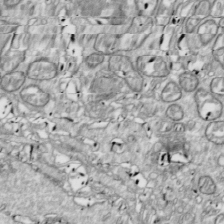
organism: Drosophila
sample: Cell division; meiosis; drosophila spermatocytes